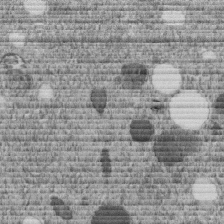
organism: C. elegans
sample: C. elegans embryo early stage